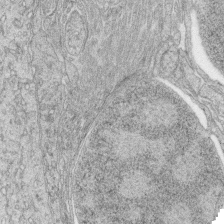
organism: Zebrafish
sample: synaptic ribbons in rod cells and cone cells